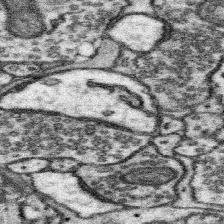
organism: Mouse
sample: Somatosensory cortex neuropil